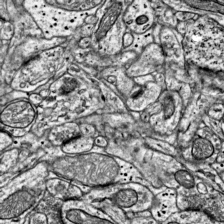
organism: Mouse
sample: Visual Cortex